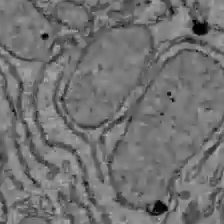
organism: C57BL Mouse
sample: Liver